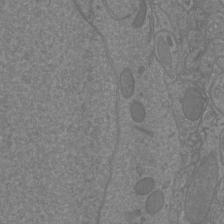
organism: Mouse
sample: Cortical neurons